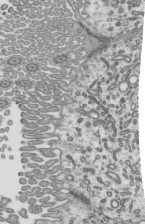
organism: Mouse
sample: Mouse epididymis efferent ductule cilia